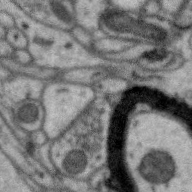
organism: Zebra finch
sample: Brain